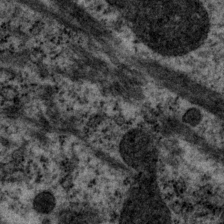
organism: P. pacificus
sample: Pharynx